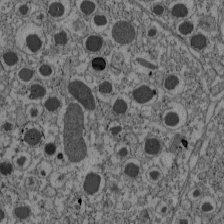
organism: C57BL Mouse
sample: Pancreatic islet